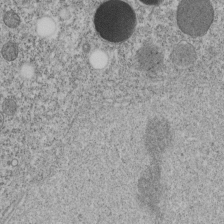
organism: C. elegans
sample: C. elegans embryo early stage